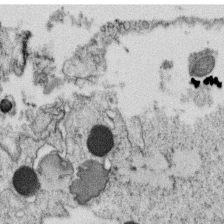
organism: C. elegans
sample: C. elegans oocyte; sperm cells